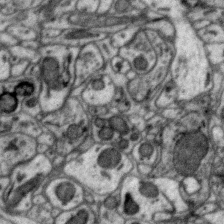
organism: Zebra finch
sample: Brain